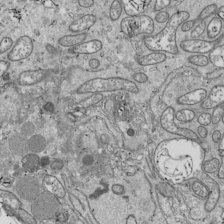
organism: Drosophila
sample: Cell division; meiosis; drosophila spermatocytes